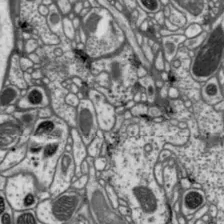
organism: Drosophila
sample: Protocerebral bridge